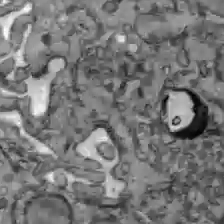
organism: C57BL Mouse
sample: Liver